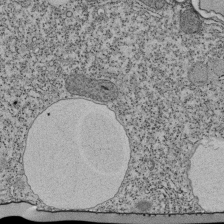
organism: Tetrahymena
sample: Cilia in tetrahymena